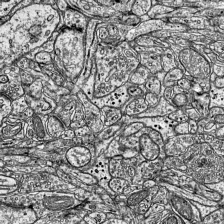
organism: Mouse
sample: Visual Cortex